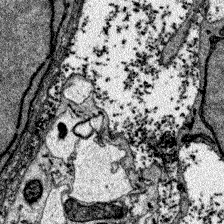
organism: Zebrafish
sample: Larval olfactory bulb